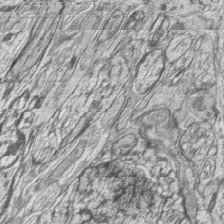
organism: Zebrafish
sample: synaptic ribbons in rod cells and cone cells